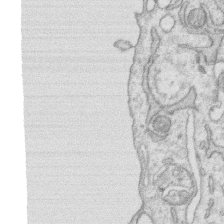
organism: Human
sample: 1205lu cells